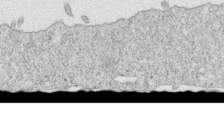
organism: Human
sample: HeLa cell HIV synapse